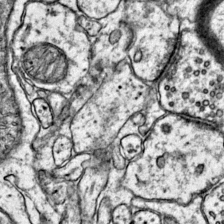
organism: Mouse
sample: Primary visual cortex